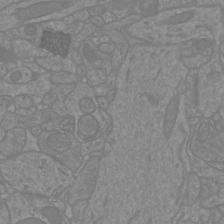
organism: Mouse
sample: Cortical neurons